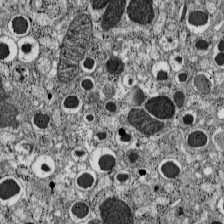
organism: C57BL Mouse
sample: Pancreatic islet